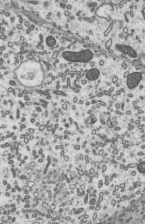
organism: Mouse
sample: Mouse epididymis efferent ductule cilia